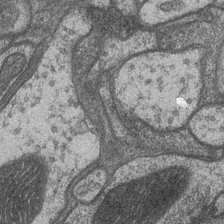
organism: Drosophila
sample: Optic medulla